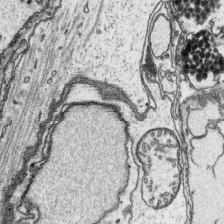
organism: Platynereis dumerilii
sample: Parapodia